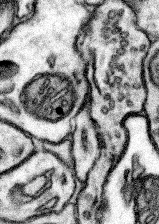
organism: Mouse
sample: Somatosensory cortex neuropil